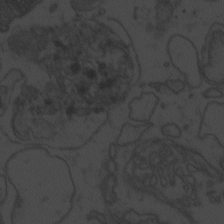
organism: Zebrafish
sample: Macrophage infected with Toxoplasma gondii